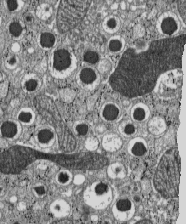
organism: C57BL Mouse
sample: Pancreatic islet